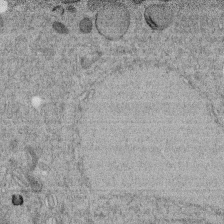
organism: C. elegans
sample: C. elegans embryo early stage